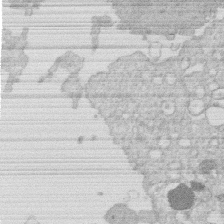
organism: Human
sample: Macrophage cells